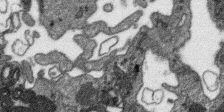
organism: Human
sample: Lung epithelial cells infected with SARS-CoV-2